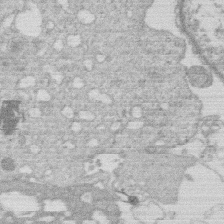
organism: Human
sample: Macrophage cells